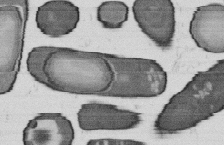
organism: B. subtilis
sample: Bacterial spore